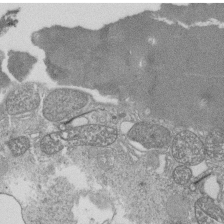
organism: Tetrahymena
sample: Cilia in tetrahymena